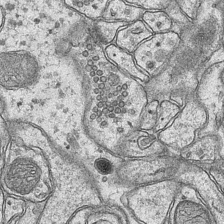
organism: Mouse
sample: CA1 Hippocampus